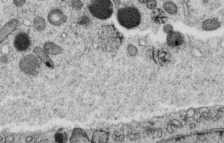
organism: C. elegans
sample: C. elegans oocyte; sperm cells